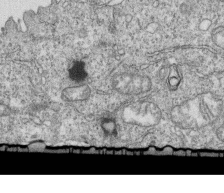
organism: Human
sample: HeLa cell HIV synapse